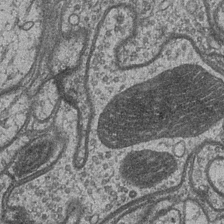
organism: Drosophila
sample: Optic medulla